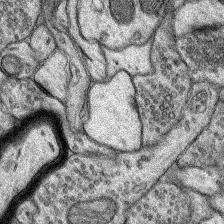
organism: Rat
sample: Hippocampus